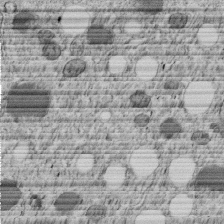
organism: C. elegans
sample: C. elegans embryo early stage